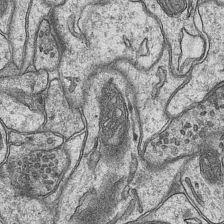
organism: Mouse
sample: CA1 Hippocampus